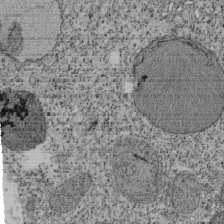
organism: Tetrahymena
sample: Cilia in tetrahymena